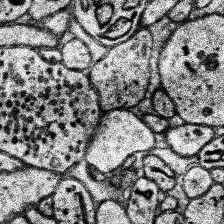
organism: Human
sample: Temporal Lobe